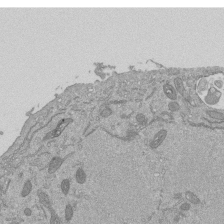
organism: Mouse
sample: ED-1 cell nuclei; centrioles